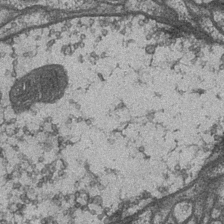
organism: Drosophila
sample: Optic medulla